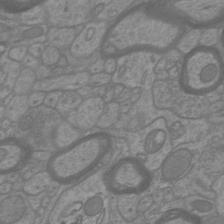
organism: Mouse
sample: Cortical neurons